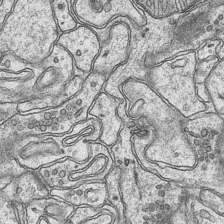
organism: Mouse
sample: CA1 Hippocampus